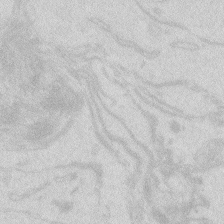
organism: Zebrafish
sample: Macrophage